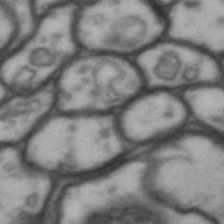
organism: Drosophila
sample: Brain